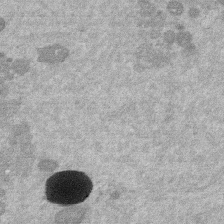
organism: Mouse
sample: Dividing mouse embryo 1 cell stage